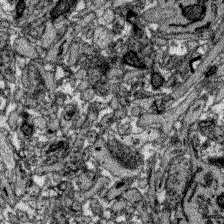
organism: Zebrafish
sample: Larval olfactory bulb